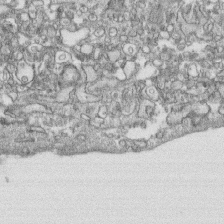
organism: Human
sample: CRL-1474